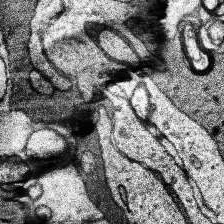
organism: Human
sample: Temporal Lobe